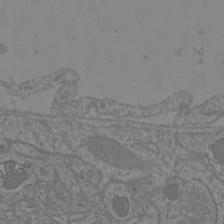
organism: Mouse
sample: Cortical neurons